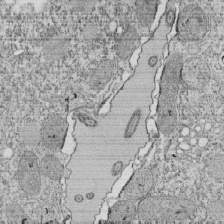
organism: Tetrahymena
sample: Cilia in tetrahymena